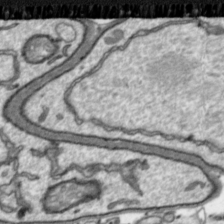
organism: Toxoplasma gondii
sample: Parasites in a vacuole inside a host cell